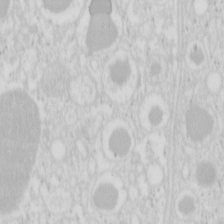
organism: Mouse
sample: Pancreas